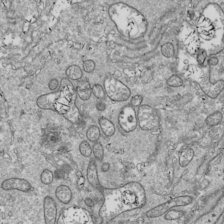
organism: Drosophila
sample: Cell division; meiosis; drosophila spermatocytes